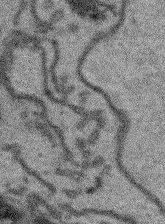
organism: Arabidopsis thaliana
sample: Root tip